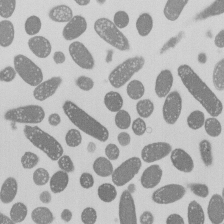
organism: E. coli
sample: Bacterial nucleoid